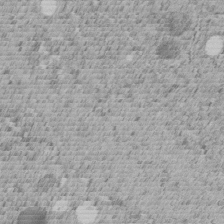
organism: C. elegans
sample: C. elegans embryo early stage